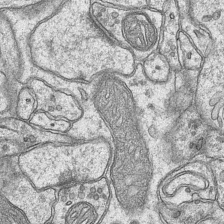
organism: Mouse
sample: CA1 Hippocampus